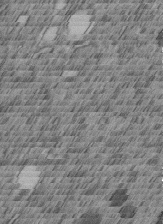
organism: C. elegans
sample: C. elegans embryo early stage